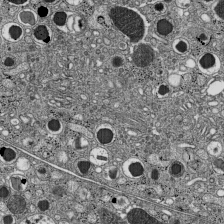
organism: C57BL Mouse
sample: Pancreatic islet